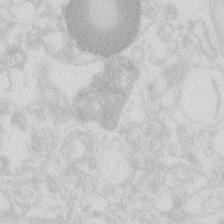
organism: Zebrafish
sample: Macrophage